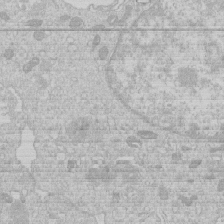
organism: Human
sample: Macrophage cells